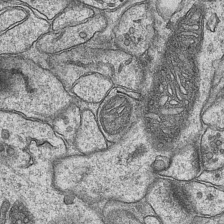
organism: Mouse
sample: CA1 Hippocampus